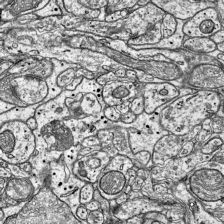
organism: Mouse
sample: Visual Cortex